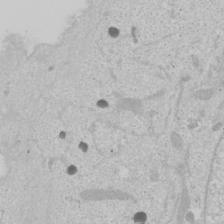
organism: Human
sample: Mitochondria in U2OS cells